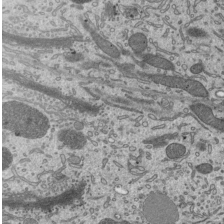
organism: Mouse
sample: Mouse epididymis efferent ductule cilia